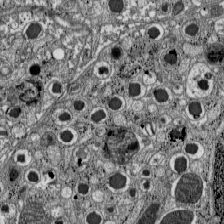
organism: C57BL Mouse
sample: Pancreatic islet